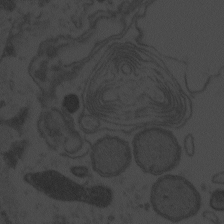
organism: Zebrafish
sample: Macrophage infected with Toxoplasma gondii